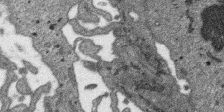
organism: Human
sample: Lung epithelial cells infected with SARS-CoV-2